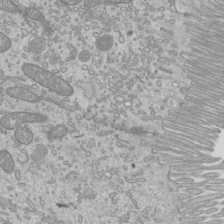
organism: Mouse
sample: Cilia; mouse epididymis